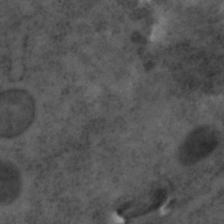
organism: C. elegans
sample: C. elegans embryo